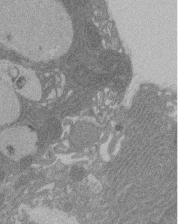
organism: Rat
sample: Salivary granule